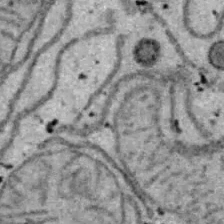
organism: Mouse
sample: Liver from an obese (ob/ob) mouse